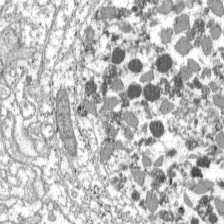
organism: C57BL Mouse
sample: Pancreatic islet